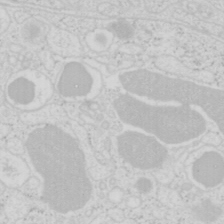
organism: Mouse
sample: Pancreas